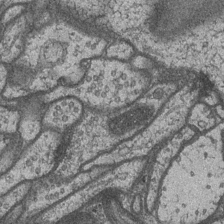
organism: Drosophila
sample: Optic medulla